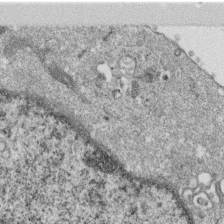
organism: African green monkey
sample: Vero E6 cells infected with SARS-CoV-2